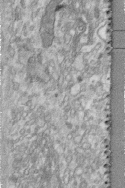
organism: Human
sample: Centriole in fibroblast cells